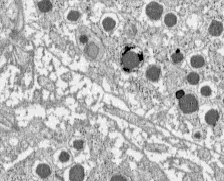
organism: C57BL Mouse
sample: Pancreatic islet